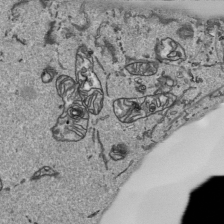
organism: Human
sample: Mitochondria in HCT116 cells